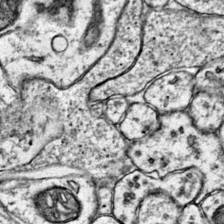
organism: Mouse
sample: Primary visual cortex